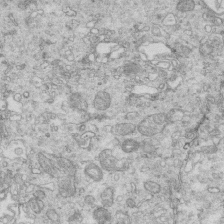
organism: Mouse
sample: Multiciliated cells